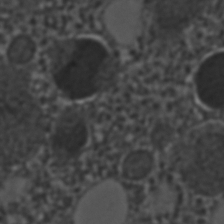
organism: C. elegans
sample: C. elegans embryo